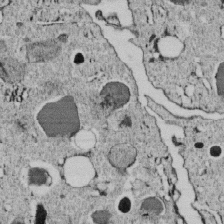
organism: C. elegans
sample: C. elegans embryo early stage